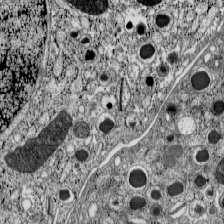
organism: C57BL Mouse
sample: Pancreatic islet